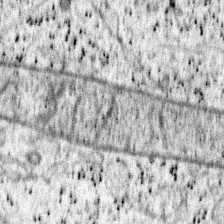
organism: Human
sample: HeLa cells